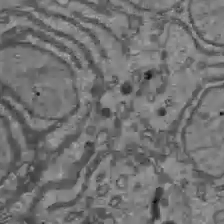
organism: C57BL Mouse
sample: Liver